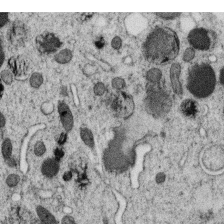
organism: C. elegans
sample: C. elegans oocyte; sperm cells